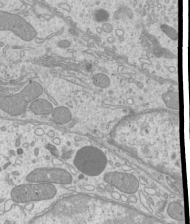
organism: Mouse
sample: Cilia; mouse epididymis